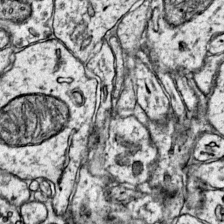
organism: Mouse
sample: Primary visual cortex